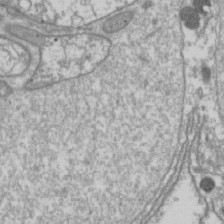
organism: Drosophila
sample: Cell division; meiosis; drosophila spermatocytes